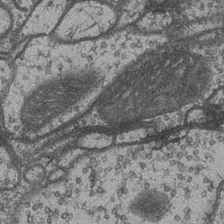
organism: Drosophila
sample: Optic medulla